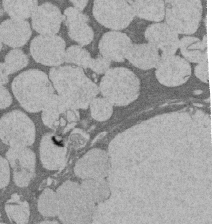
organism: Rat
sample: Salivary granule